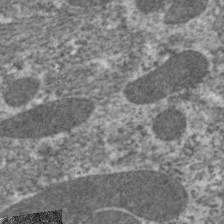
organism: C. elegans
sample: Pharynx